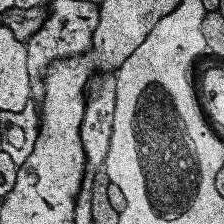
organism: Human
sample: Temporal Lobe